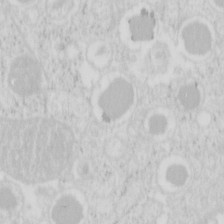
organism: Mouse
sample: Pancreas